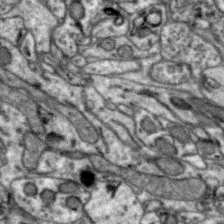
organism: Zebra finch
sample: Brain